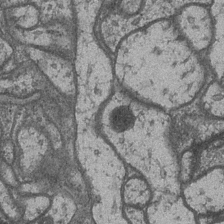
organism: Drosophila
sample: Optic medulla